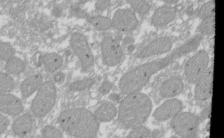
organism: Xenopus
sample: Cilia; centrioles in frog embryo cells